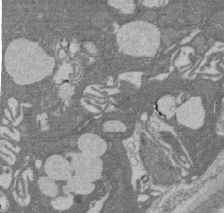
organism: Rat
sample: Salivary granule